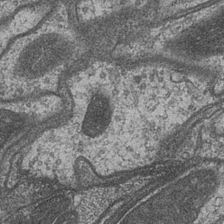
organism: Drosophila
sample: Optic medulla